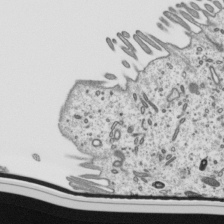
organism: Mouse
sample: Mouse epididymis efferent ductule cilia